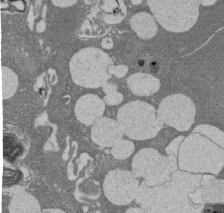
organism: Rat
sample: Salivary granule